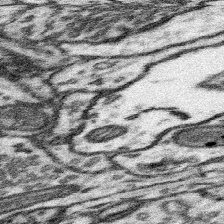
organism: Mouse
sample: Somatosensory cortex neuropil